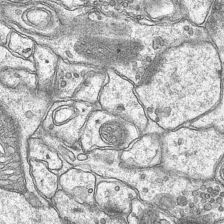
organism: Mouse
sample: CA1 Hippocampus